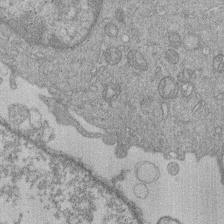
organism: Human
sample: Macrophage cells